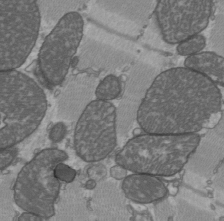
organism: C57BL Mouse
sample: Heart